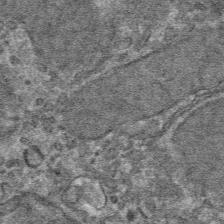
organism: Mouse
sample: Mouse hepatocytes